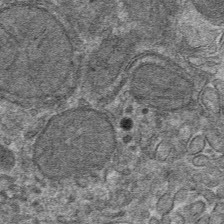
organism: Mouse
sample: Mouse hepatocytes